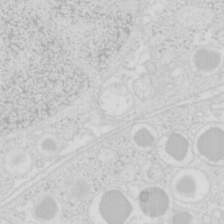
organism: Mouse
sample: Pancreas